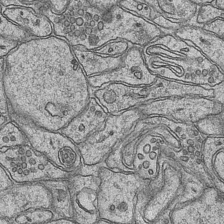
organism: Mouse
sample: CA1 Hippocampus